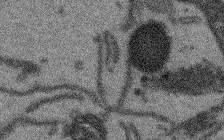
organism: Arabidopsis thaliana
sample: Root tip